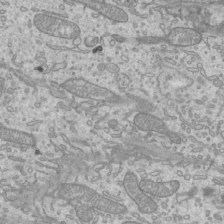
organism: Mouse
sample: Cilia; mouse epididymis